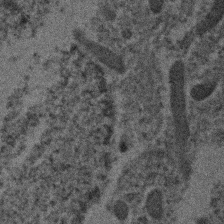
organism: Human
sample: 1205lu cells